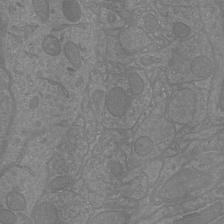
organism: Mouse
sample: Cortical neurons